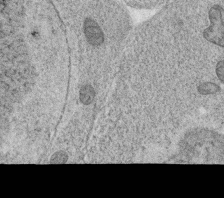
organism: C. elegans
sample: C. elegans oocyte; sperm cells